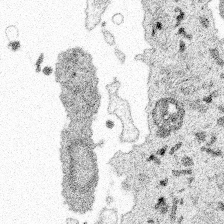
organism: Spongilla lacustris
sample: Multiple